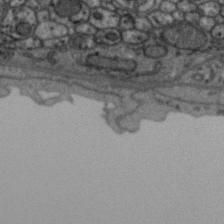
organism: Zebra finch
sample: Brain